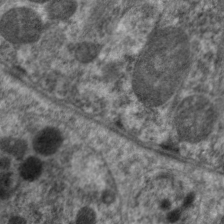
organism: C. elegans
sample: Pharynx